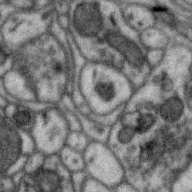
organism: Zebra finch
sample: Brain